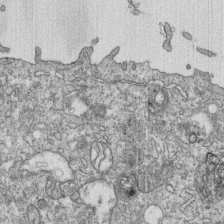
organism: Human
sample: HeLa cell HIV synapse